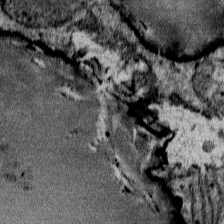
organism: Mouse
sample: Mouse Salivary gland